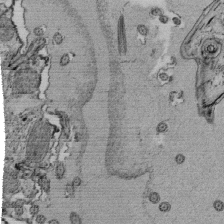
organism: Tetrahymena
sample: Cilia in tetrahymena